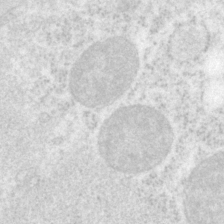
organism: P. pacificus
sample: Pharynx